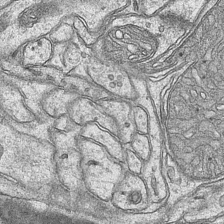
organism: Mouse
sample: CA1 Hippocampus